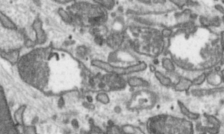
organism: Toxoplasma gondii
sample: Parasites in a vacuole inside a host cell